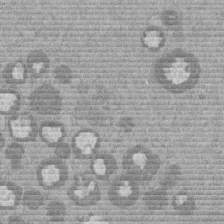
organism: Mouse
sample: Dividing mouse embryo 1 cell stage